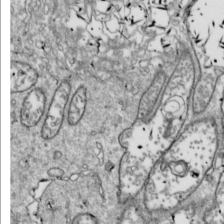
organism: Drosophila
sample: Cell division; meiosis; drosophila spermatocytes